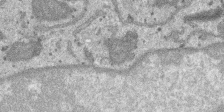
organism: Human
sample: Lung epithelial cells infected with SARS-CoV-2